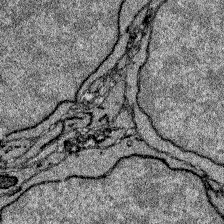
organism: Zebrafish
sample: Larval olfactory bulb